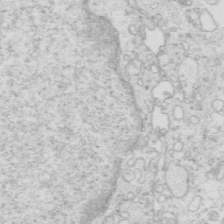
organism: Mouse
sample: Multiciliated cells